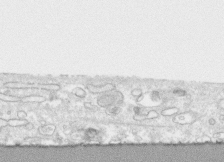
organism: Human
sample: CRL-1474